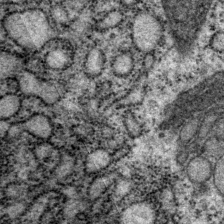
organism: P. pacificus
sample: Pharynx